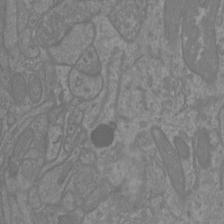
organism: Mouse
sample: Cortical neurons